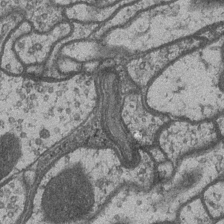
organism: Drosophila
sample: Optic medulla